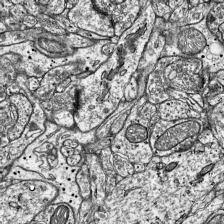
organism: Mouse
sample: Visual Cortex